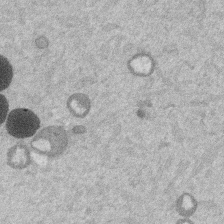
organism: Mouse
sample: Dividing mouse embryo 1 cell stage